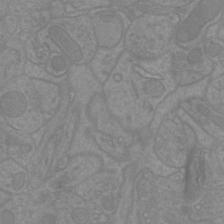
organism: Mouse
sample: Cortical neurons